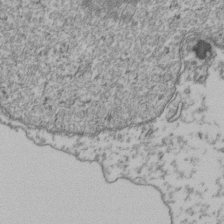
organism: Human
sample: Activated Jurkat CD4+ T cells